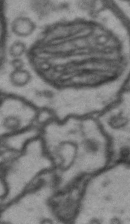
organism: Drosophila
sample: Brain